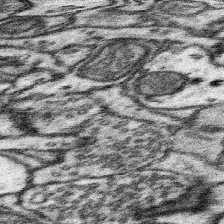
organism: Mouse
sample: Somatosensory cortex neuropil